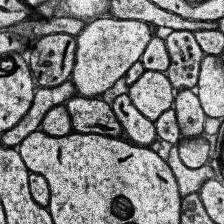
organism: Human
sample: Temporal Lobe